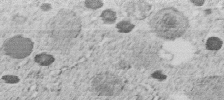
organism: C. elegans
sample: C. elegans embryo early stage